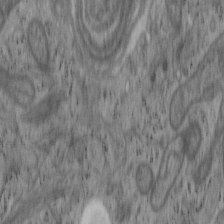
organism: Human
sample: HeLa cells